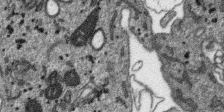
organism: Human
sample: Lung epithelial cells infected with SARS-CoV-2